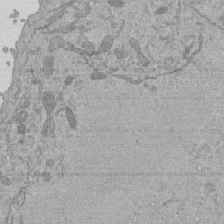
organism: Mouse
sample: ED-1 cell nuclei; centrioles